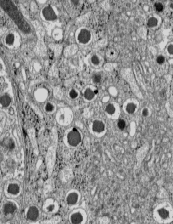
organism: C57BL Mouse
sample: Pancreatic islet